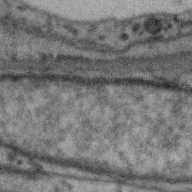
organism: Zebra finch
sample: Brain